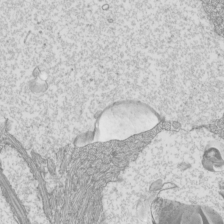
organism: Mouse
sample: Cilia; mouse epididymis